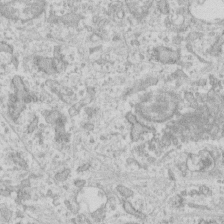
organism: Human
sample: Fibroblast cells